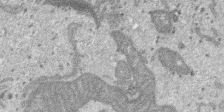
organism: Human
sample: Lung epithelial cells infected with SARS-CoV-2